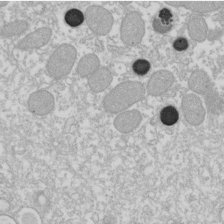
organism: Xenopus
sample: Cilia; centrioles in frog embryo cells